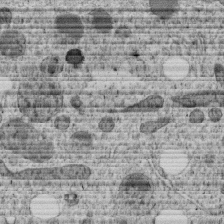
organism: C. elegans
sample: C. elegans embryo early stage